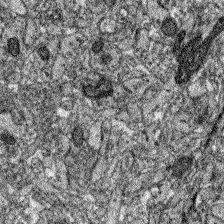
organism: Zebrafish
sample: Larval olfactory bulb